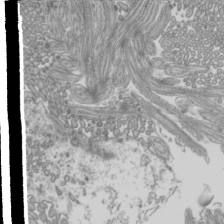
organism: Mouse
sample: Cilia; mouse epididymis